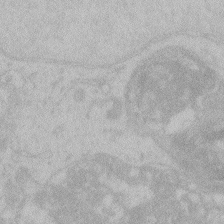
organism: Zebrafish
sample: Macrophage infected with Toxoplasma gondii